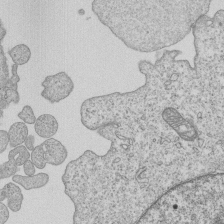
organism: Human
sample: MDA-MB-231 cells